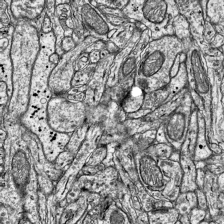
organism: Mouse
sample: Visual Cortex